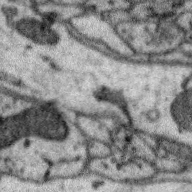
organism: Zebra finch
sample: Brain